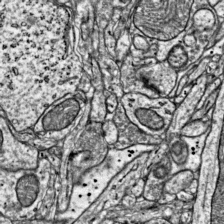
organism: Mouse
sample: Visual Cortex